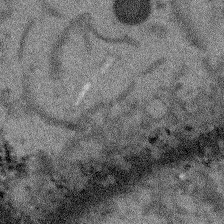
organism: Arabidopsis thaliana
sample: Root tip